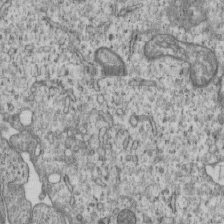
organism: Human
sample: MDA-MB-231 cells